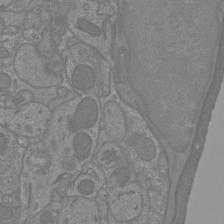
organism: Mouse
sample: Cortical neurons